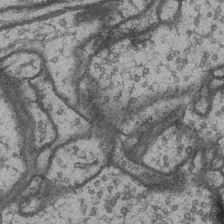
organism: Drosophila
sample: Optic medulla